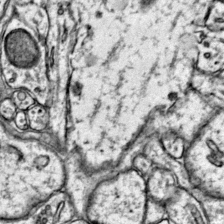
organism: Mouse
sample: Primary visual cortex